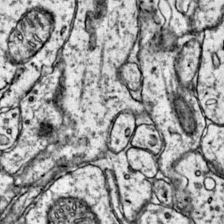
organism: Mouse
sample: Primary visual cortex